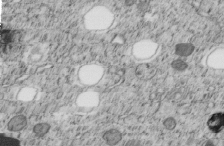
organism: C. elegans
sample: C. elegans embryo early stage